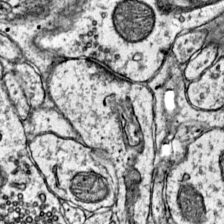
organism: Mouse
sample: Primary visual cortex